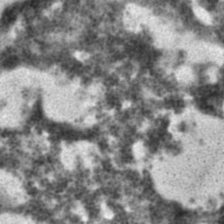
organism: C. elegans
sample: C. elegans embryo